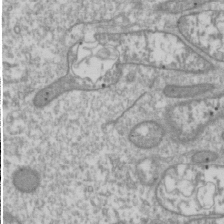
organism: Drosophila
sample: Cell division; meiosis; drosophila spermatocytes